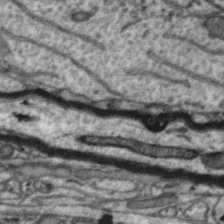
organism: Zebra finch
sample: Brain